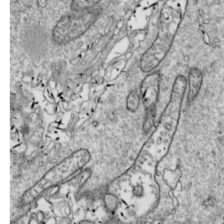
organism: Drosophila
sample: Cell division; meiosis; drosophila spermatocytes